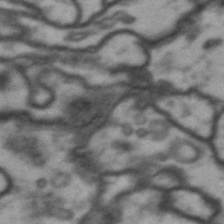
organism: Drosophila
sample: Brain